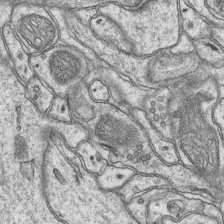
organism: Mouse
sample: CA1 Hippocampus